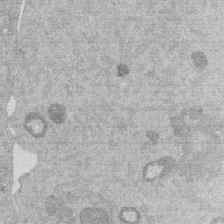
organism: Mouse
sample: Dividing mouse embryo 1 cell stage